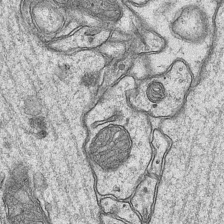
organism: Mouse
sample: CA1 Hippocampus